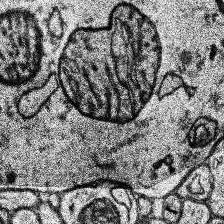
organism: Human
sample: Temporal Lobe